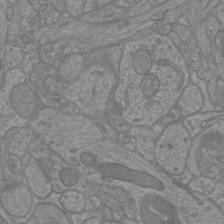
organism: Mouse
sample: Cortical neurons